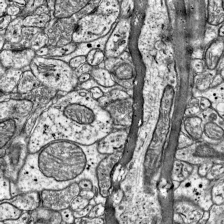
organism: Mouse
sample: Visual Cortex